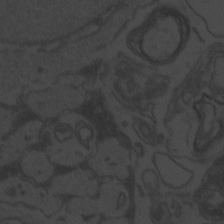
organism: Zebrafish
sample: Macrophage infected with Toxoplasma gondii